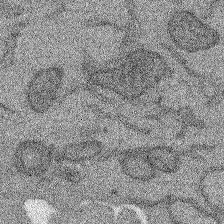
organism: Human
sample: HeLa cells